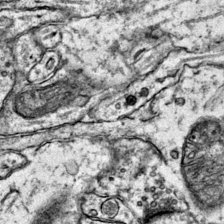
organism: Mouse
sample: Primary visual cortex